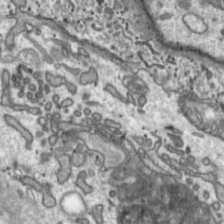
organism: Toxoplasma gondii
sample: Parasites in a vacuole inside a host cell